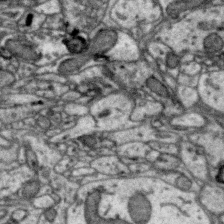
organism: Zebra finch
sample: Brain